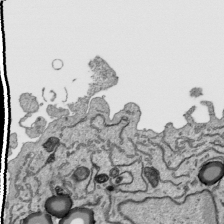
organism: Human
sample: Mitochondria in HCT116 cells